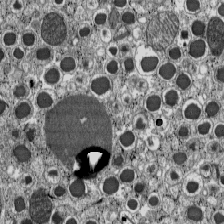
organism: C57BL Mouse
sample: Pancreatic islet